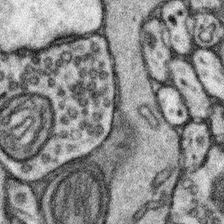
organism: Mouse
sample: Somatosensory cortex neuropil